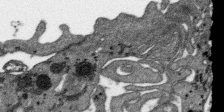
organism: Human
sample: Lung epithelial cells, uninfected (mock) control